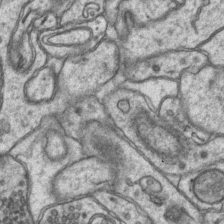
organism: Mouse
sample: CA1 Hippocampus